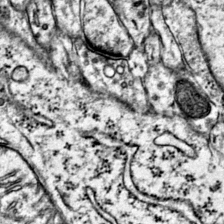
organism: Mouse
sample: Primary visual cortex